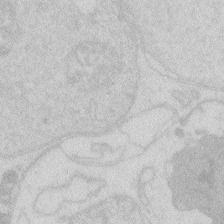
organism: Zebrafish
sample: Macrophage